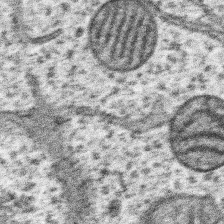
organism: Human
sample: HeLa cells